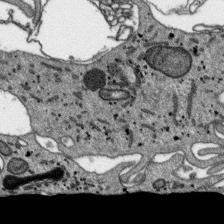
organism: Human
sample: Lung epithelial cells, uninfected (mock) control